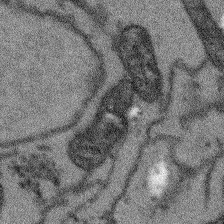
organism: Arabidopsis thaliana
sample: Root tip